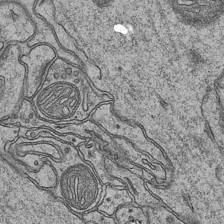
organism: Mouse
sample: CA1 Hippocampus